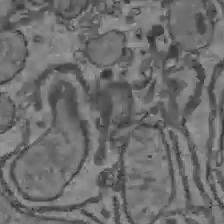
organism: C57BL Mouse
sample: Liver